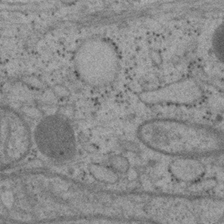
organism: Human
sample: HeLa cells